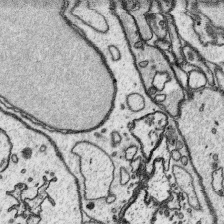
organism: Platynereis dumerilii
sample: Parapodia